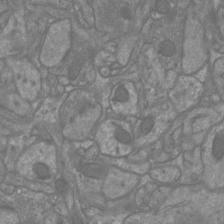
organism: Mouse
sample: Cortical neurons